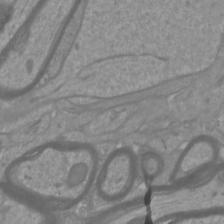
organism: Mouse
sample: Cortical neurons